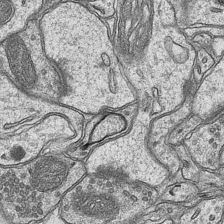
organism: Mouse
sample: CA1 Hippocampus